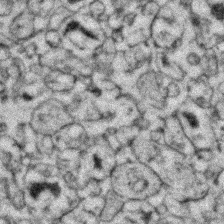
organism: Zebrafish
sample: Zebrafish embryo